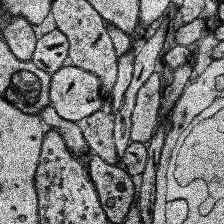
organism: Human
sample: Temporal Lobe